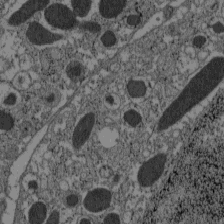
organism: C57BL Mouse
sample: Pancreatic islet